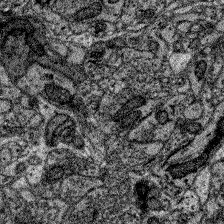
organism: Zebrafish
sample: Larval olfactory bulb